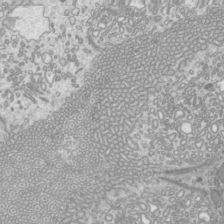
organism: Mouse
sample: Cilia; mouse epididymis